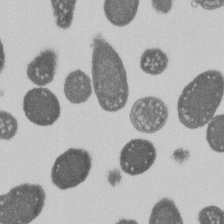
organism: E. coli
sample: Bacterial nucleoid